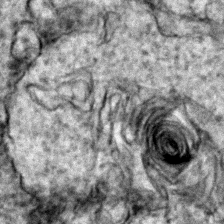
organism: Zebrafish